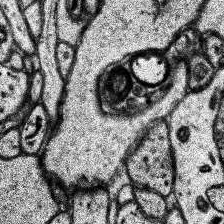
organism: Human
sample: Temporal Lobe